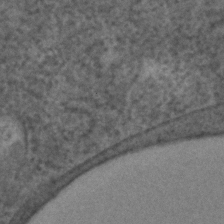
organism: C. elegans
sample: C. elegans embryo